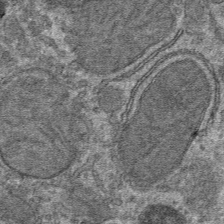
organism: Mouse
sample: Mouse hepatocytes